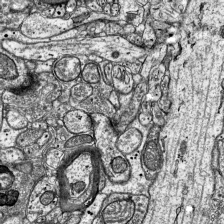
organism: Mouse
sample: Visual Cortex